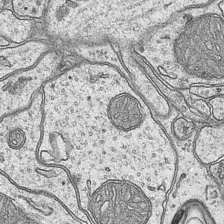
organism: Mouse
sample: CA1 Hippocampus